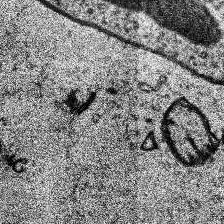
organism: Human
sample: Temporal Lobe